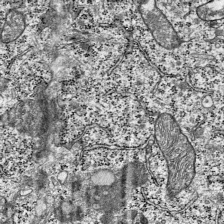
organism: Mouse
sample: Visual Cortex